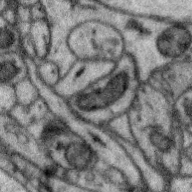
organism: Zebra finch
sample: Brain